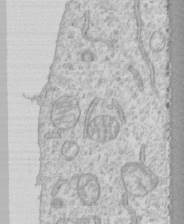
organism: Human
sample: CRL-1474